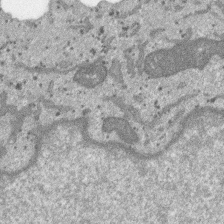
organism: Human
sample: Lung epithelial cells infected with SARS-CoV-2